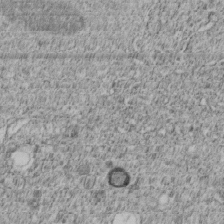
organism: C. elegans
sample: C. elegans embryo early stage